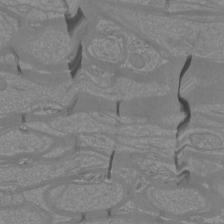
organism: Mouse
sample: Cortical neurons